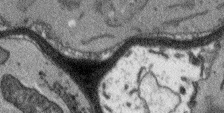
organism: Arabidopsis thaliana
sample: Root tip